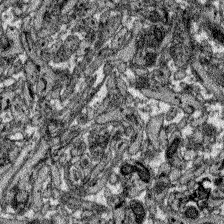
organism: Zebrafish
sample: Larval olfactory bulb